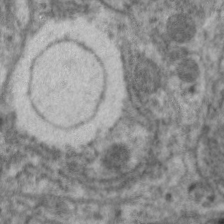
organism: C. elegans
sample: Pharynx